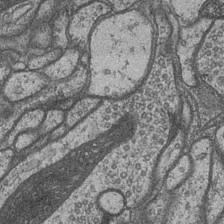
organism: Drosophila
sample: Optic medulla